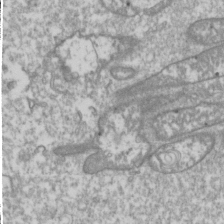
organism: Drosophila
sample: Cell division; meiosis; drosophila spermatocytes